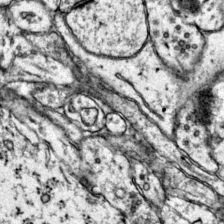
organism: Mouse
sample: Primary visual cortex